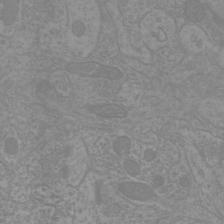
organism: Mouse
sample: Cortical neurons